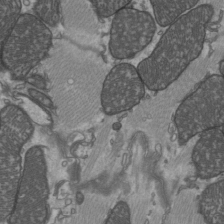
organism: C57BL Mouse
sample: Heart